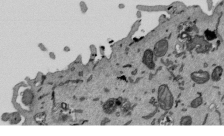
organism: Mouse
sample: ED-1 cell nuclei; centrioles